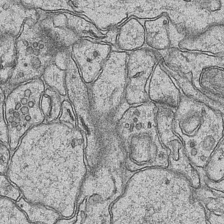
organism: Mouse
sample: CA1 Hippocampus